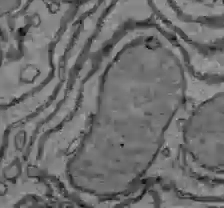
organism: C57BL Mouse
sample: Liver